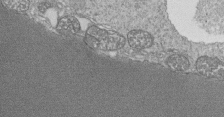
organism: Tetrahymena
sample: Cilia in tetrahymena